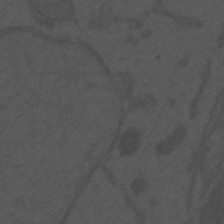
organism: Mouse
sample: Suprachiasmatic nucleus